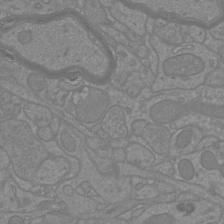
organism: Mouse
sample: Cortical neurons